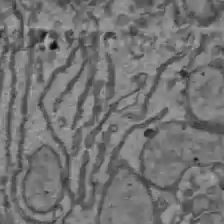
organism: C57BL Mouse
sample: Liver